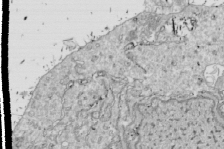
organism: Drosophila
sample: Cell division; meiosis; drosophila spermatocytes